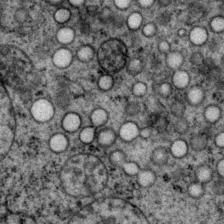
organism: P. pacificus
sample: Pharynx